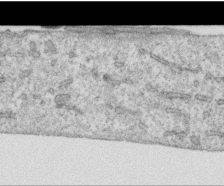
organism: Human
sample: Centriole in RPE cells